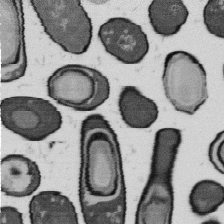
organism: B. subtilis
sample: Bacterial spore